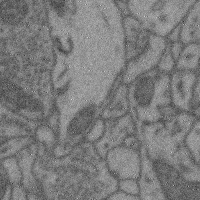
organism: Mouse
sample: Cerebral cortex